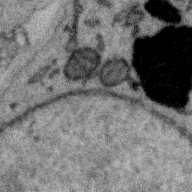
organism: Zebra finch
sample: Brain